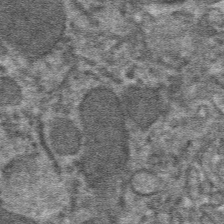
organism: Mouse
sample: Mouse hepatocytes